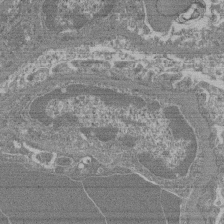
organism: Mouse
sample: Glomerulus